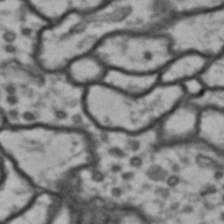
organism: Drosophila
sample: Brain